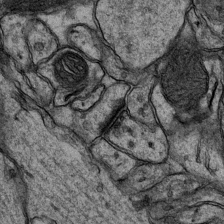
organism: Mouse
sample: CA1 Hippocampus